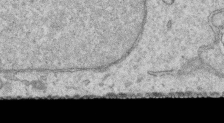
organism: Human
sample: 1205lu cells